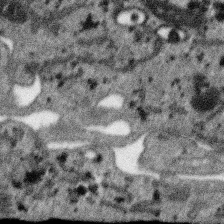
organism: Human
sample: Lung epithelial cells infected with SARS-CoV-2